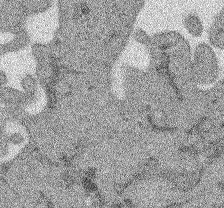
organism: Human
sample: HeLa cells